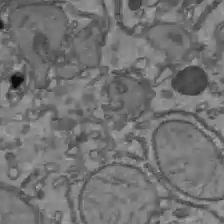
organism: C57BL Mouse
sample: Liver